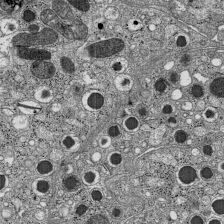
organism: C57BL Mouse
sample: Pancreatic islet